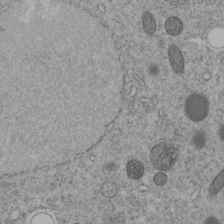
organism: C. elegans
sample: C. elegans embryo early stage